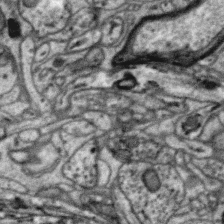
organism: Zebra finch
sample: Brain